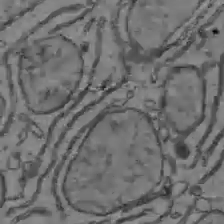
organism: C57BL Mouse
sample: Liver